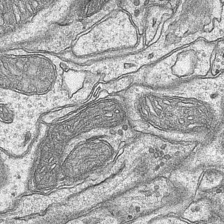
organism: Mouse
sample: CA1 Hippocampus